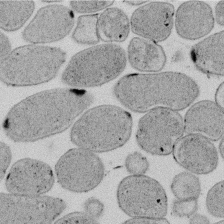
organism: E. coli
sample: Bacterial nucleoid